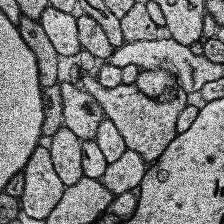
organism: Human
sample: Temporal Lobe